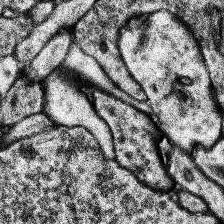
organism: Human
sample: Temporal Lobe